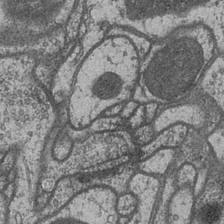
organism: Drosophila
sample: Optic medulla